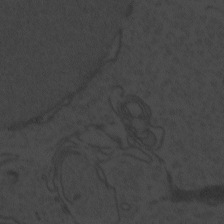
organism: Zebrafish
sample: Macrophage infected with Toxoplasma gondii